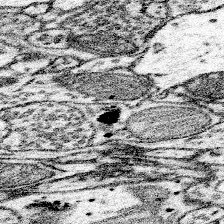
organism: Mouse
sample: Somatosensory cortex neuropil